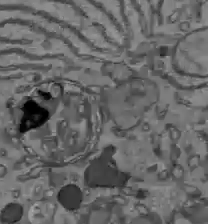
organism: C57BL Mouse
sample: Liver